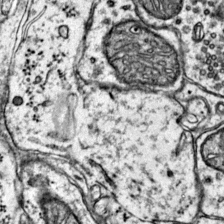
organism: Mouse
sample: Primary visual cortex